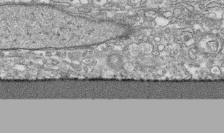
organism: Human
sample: CRL-1474